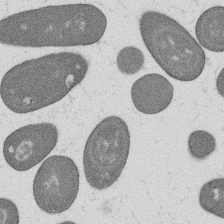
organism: B. subtilis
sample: Bacterial spore